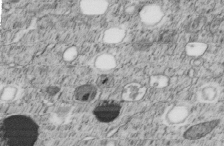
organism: C. elegans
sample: C. elegans embryo early stage